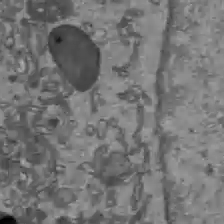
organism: C57BL Mouse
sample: Liver